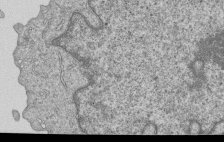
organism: Human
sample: MDA-MB-231 cells